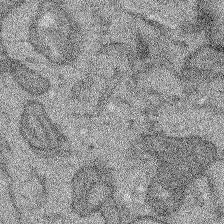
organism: Human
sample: HeLa cells